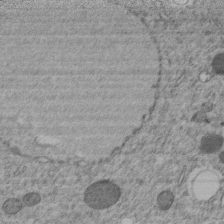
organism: C. elegans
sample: C. elegans embryo early stage